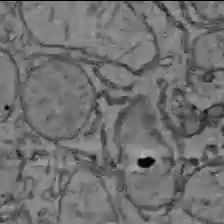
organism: C57BL Mouse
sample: Liver